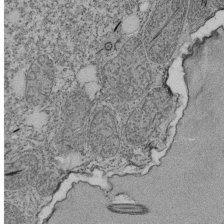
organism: Tetrahymena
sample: Cilia in tetrahymena